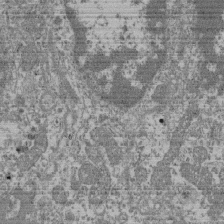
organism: Mouse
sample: Glomerulus